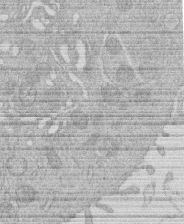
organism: Human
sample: Macrophage cells